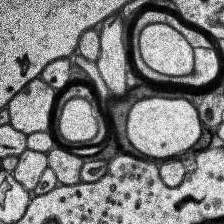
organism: Human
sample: Temporal Lobe